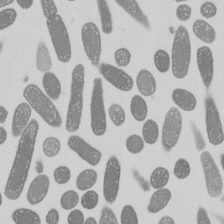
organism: E. coli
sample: Bacterial nucleoid